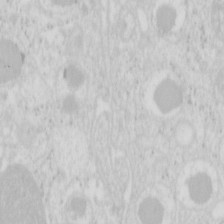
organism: Mouse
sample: Pancreas